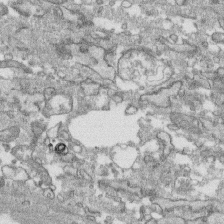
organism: Human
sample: CRL-1474